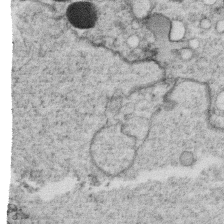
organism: C. elegans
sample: C. elegans oocyte; sperm cells